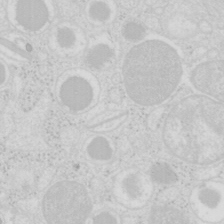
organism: Mouse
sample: Pancreas